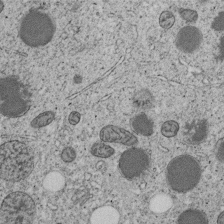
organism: C. elegans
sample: C. elegans embryo early stage